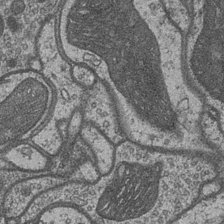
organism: Drosophila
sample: Optic medulla